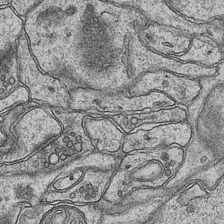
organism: Mouse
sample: CA1 Hippocampus